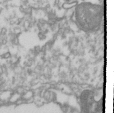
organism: Drosophila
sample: Cell division; meiosis; drosophila spermatocytes